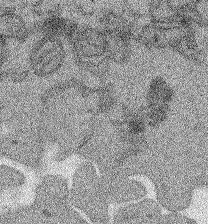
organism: Human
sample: HeLa cells